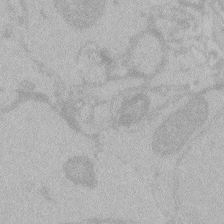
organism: Zebrafish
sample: Macrophage infected with Toxoplasma gondii